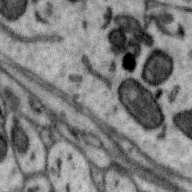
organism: Zebra finch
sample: Brain